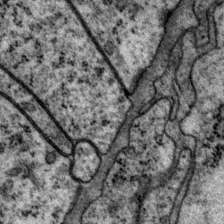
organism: P. pacificus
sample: Pharynx